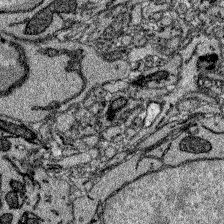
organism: Zebrafish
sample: Larval olfactory bulb